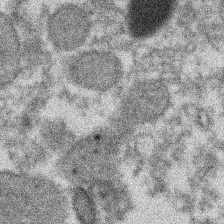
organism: Xenopus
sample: Cilia; centrioles in frog embryo cells